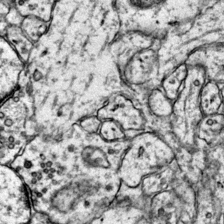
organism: Mouse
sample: Primary visual cortex